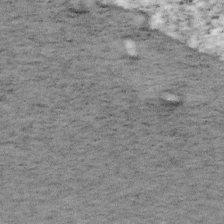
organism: Mouse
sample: OT-I killer T cells with ID8 ovarian cancer cells